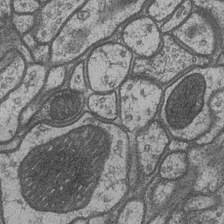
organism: Drosophila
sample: Optic medulla